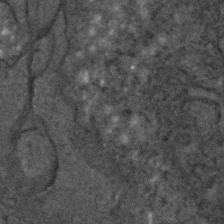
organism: C. elegans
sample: C. elegans embryo